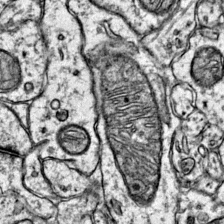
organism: Mouse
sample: Primary visual cortex